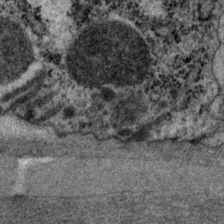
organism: P. pacificus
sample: Pharynx